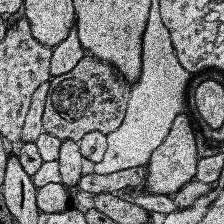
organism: Human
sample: Temporal Lobe